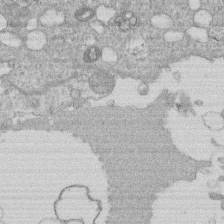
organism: Human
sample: Macrophage cells